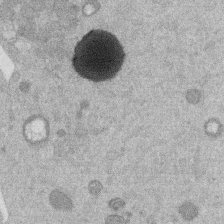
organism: Mouse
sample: Dividing mouse embryo 1 cell stage